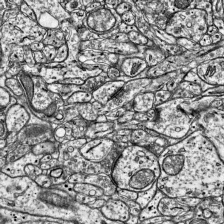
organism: Mouse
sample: Visual Cortex